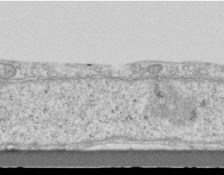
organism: Mouse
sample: Centriole in ependymal cells